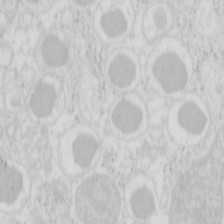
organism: Mouse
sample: Pancreas